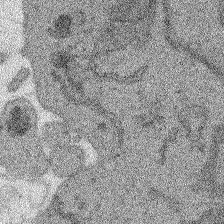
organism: Human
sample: HeLa cells